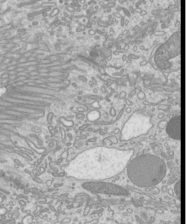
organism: Mouse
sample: Cilia; mouse epididymis